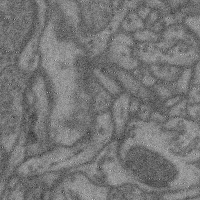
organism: Mouse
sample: Cerebral cortex